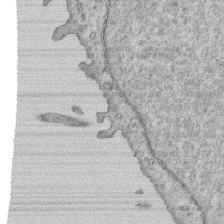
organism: Human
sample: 1205lu cells